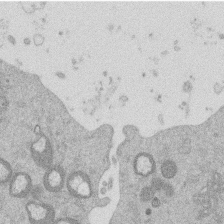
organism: Mouse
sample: Dividing mouse embryo 1 cell stage